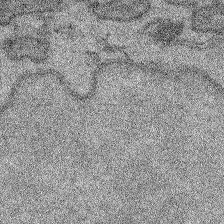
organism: Human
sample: HeLa cells